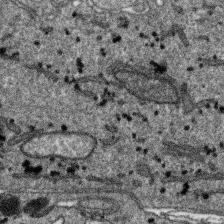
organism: Human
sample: Lung epithelial cells infected with SARS-CoV-2